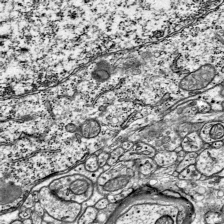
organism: Mouse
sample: Visual Cortex